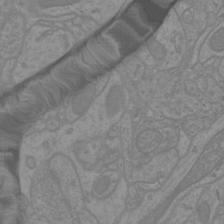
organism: Mouse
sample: Cortical neurons